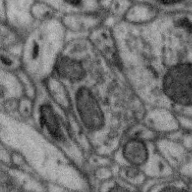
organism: Zebra finch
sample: Brain